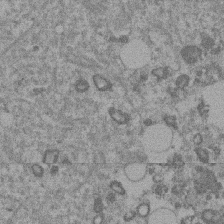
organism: Mouse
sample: Dividing mouse embryo 1 cell stage